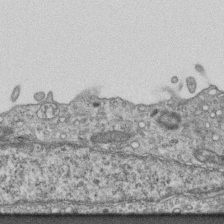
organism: Mouse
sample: Centriole in ependymal cells